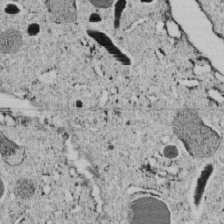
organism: C. elegans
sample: C. elegans embryo early stage